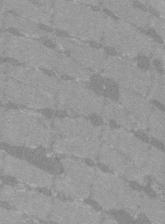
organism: C57BL Mouse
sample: Tibialis anterior muscle cell